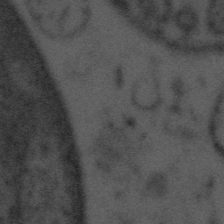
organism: Tuwongella immobilis